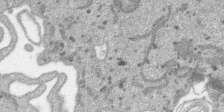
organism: Human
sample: Lung epithelial cells infected with SARS-CoV-2